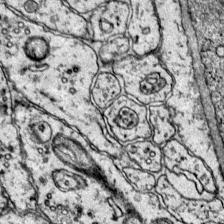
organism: Mouse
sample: Primary visual cortex